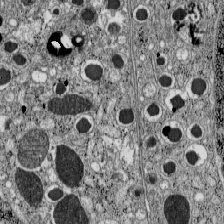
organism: C57BL Mouse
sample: Pancreatic islet